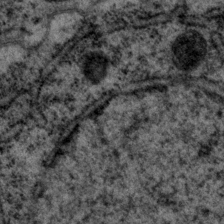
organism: P. pacificus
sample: Pharynx